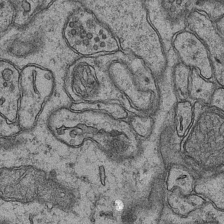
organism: Mouse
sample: CA1 Hippocampus